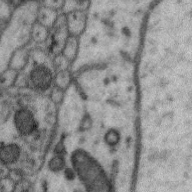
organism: Zebra finch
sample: Brain